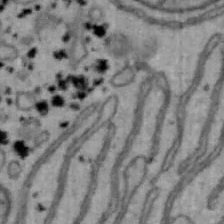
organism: Mouse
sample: Liver